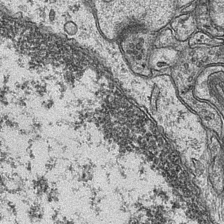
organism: Mouse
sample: CA1 Hippocampus